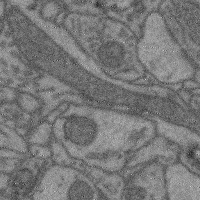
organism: Mouse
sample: Cerebral cortex